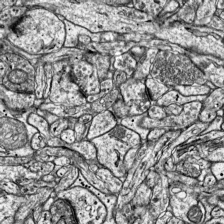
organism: Mouse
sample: Visual Cortex